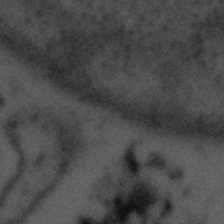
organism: Tuwongella immobilis